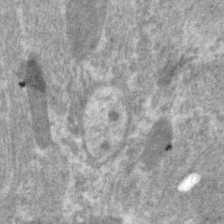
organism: C. elegans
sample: Pharynx